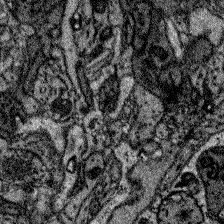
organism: Zebrafish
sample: Larval olfactory bulb